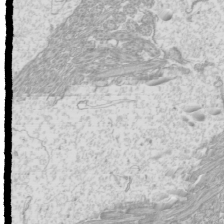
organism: Mouse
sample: Cilia; mouse epididymis